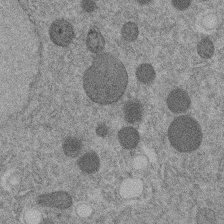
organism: C. elegans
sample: C. elegans embryo early stage